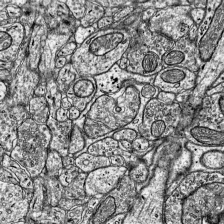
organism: Mouse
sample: Visual Cortex